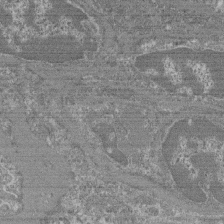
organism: Mouse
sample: Glomerulus